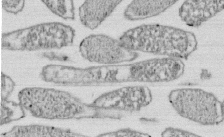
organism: E. coli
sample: Bacterial nucleoid